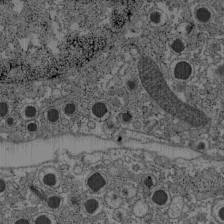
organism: C57BL Mouse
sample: Pancreatic islet